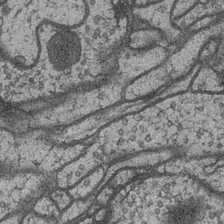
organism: Drosophila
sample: Optic medulla